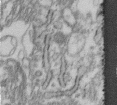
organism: Human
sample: Centriole in fibroblast cells